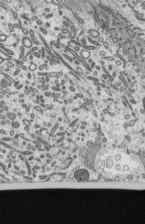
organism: Mouse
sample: Mouse epididymis efferent ductule cilia